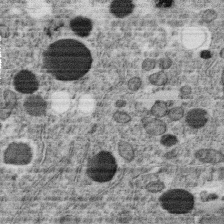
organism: C. elegans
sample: C. elegans oocyte; sperm cells